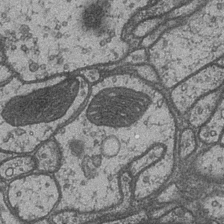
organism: Drosophila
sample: Optic medulla